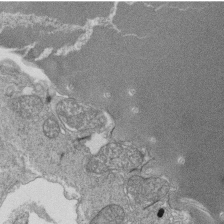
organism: Tetrahymena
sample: Cilia in tetrahymena